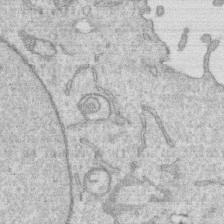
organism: Human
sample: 1205lu cells